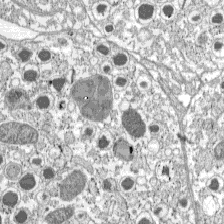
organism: C57BL Mouse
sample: Pancreatic islet